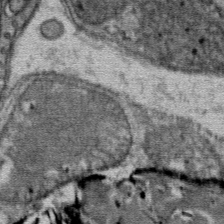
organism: Mouse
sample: Mouse Salivary gland